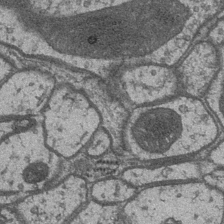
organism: Drosophila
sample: Optic medulla